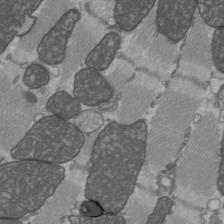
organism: C57BL Mouse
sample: Heart